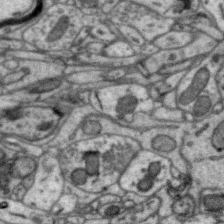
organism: Zebra finch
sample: Brain